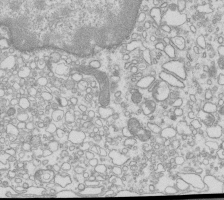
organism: Mouse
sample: Macrophages